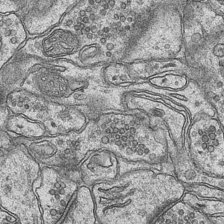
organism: Mouse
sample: CA1 Hippocampus